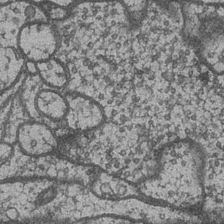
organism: Drosophila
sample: Optic medulla